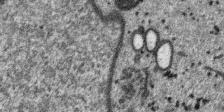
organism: Human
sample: Lung epithelial cells infected with SARS-CoV-2